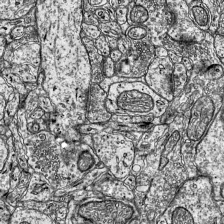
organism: Mouse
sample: Visual Cortex